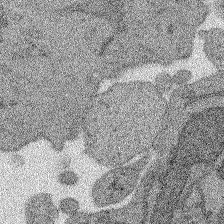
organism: Human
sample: HeLa cells